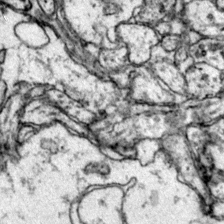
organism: Mouse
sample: Primary visual cortex